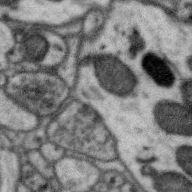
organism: Zebra finch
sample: Brain